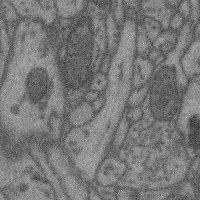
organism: Mouse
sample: Cerebral cortex